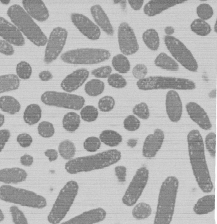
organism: E. coli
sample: Bacterial nucleoid